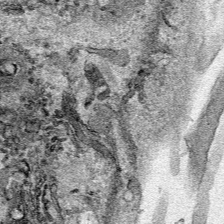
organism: Human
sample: Mitochondria in HCT116 cells